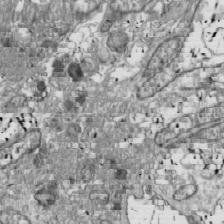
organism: Drosophila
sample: Cell division; meiosis; drosophila spermatocytes